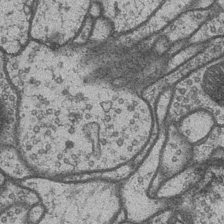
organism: Drosophila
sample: Optic medulla